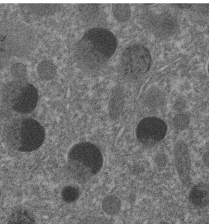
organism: C. elegans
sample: C. elegans embryo early stage